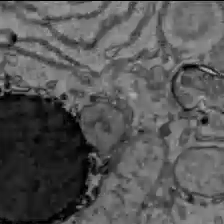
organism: C57BL Mouse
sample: Liver